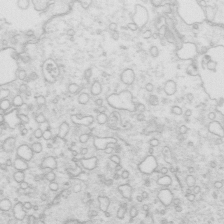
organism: Mouse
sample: Multiciliated cells